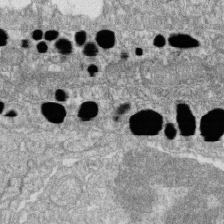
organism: Zebrafish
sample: Cilia; retinal pigment epithelium